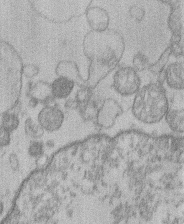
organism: Human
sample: Macrophage cells